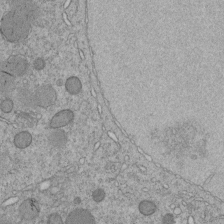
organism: C. elegans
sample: C. elegans embryo early stage